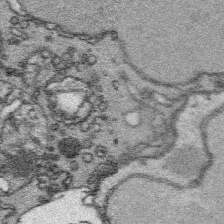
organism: Platynereis dumerilii